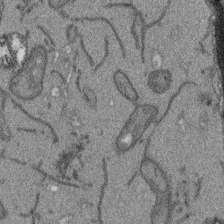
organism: Arabidopsis thaliana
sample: Root tip